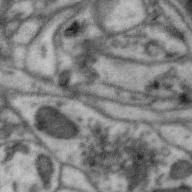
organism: Zebra finch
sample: Brain